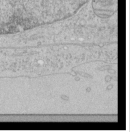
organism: Human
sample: Mitochondria in HCT116 cells